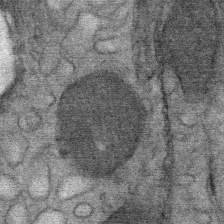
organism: Mouse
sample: Mouse Salivary gland